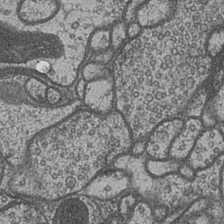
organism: Drosophila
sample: Optic medulla